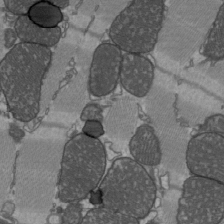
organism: C57BL Mouse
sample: Heart